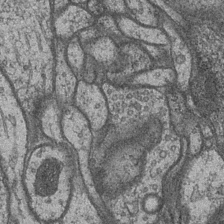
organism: Drosophila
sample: Optic medulla